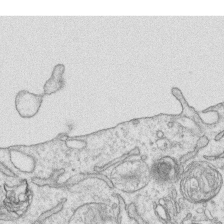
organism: Human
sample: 1205lu cells